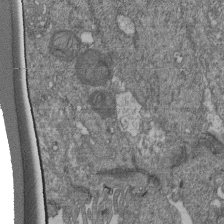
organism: Human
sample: Retinal organoid Rod and Cone cells